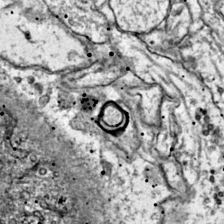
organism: Mouse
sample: Primary visual cortex